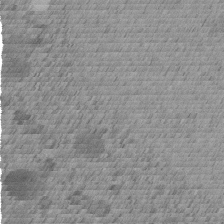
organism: C. elegans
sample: C. elegans embryo early stage